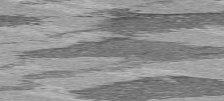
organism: C57BL Mouse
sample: Heart